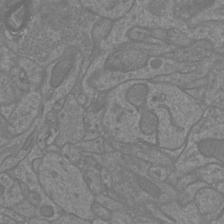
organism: Mouse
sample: Cortical neurons